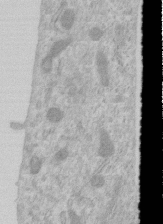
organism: Human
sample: Centriole in RPE cells